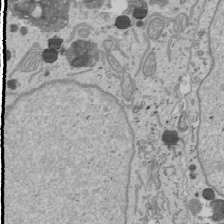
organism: Human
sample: Mitochondria in U2OS cells